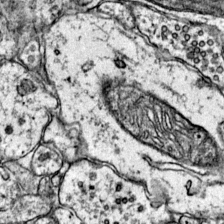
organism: Mouse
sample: Primary visual cortex